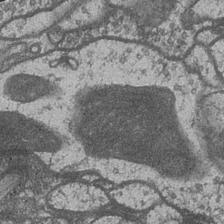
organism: Drosophila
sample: Optic medulla